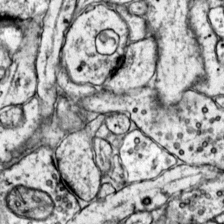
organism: Mouse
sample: Primary visual cortex